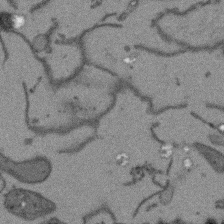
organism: Arabidopsis thaliana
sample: Root tip